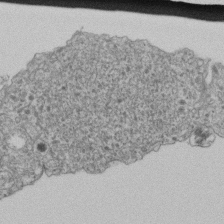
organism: Human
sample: Retinal organoid Rod and Cone cells